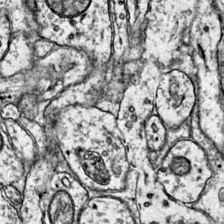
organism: Mouse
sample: Primary visual cortex